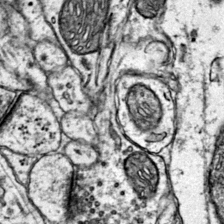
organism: Mouse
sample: Primary visual cortex